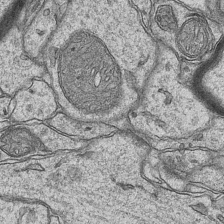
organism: Mouse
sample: CA1 Hippocampus